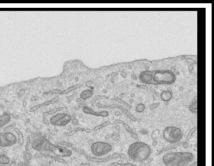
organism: Human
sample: Centriole in RPE cells